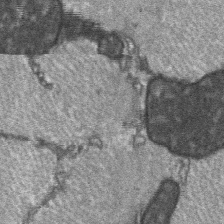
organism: C57BL Mouse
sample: Soleus